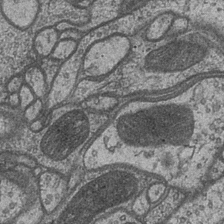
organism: Drosophila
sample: Optic medulla